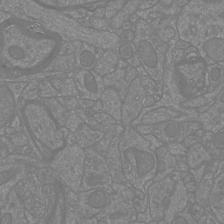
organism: Mouse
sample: Cortical neurons